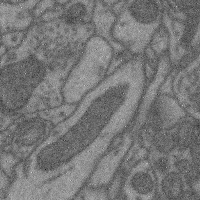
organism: Mouse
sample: Cerebral cortex